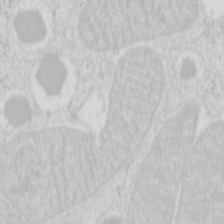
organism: Mouse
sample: Pancreas